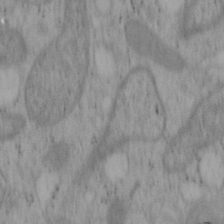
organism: Mouse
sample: OT-I killer T cells with ID8 ovarian cancer cells